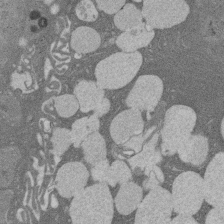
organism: Rat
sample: Salivary granule